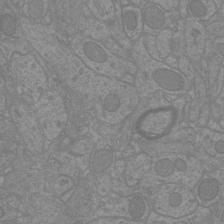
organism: Mouse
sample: Cortical neurons